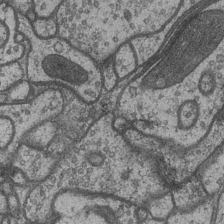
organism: Drosophila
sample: Optic medulla